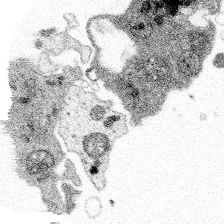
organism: Spongilla lacustris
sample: Multiple